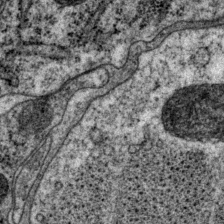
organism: P. pacificus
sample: Pharynx